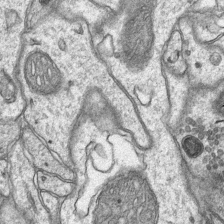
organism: Mouse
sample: CA1 Hippocampus